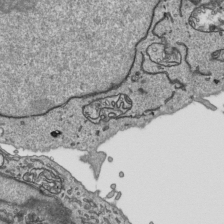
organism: Human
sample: Mitochondria in HCT116 cells